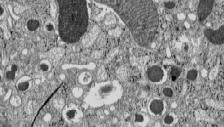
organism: C57BL Mouse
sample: Pancreatic islet